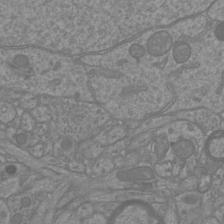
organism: Mouse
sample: Cortical neurons